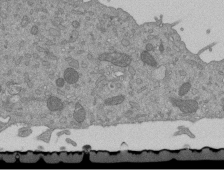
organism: Mouse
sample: ED-1 cell nuclei; centrioles